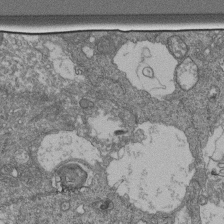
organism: Human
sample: Retinal organoid Rod and Cone cells